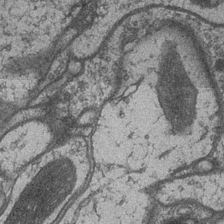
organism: Drosophila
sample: Optic medulla